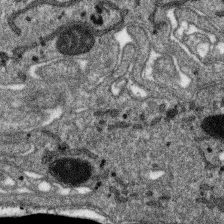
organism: Human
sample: Lung epithelial cells infected with SARS-CoV-2